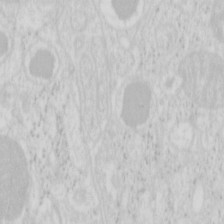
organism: Mouse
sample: Pancreas